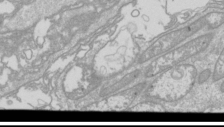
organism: Drosophila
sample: Cell division; meiosis; drosophila spermatocytes